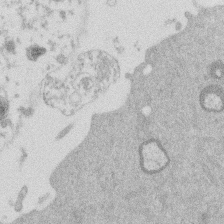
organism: Mouse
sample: Dividing mouse embryo 1 cell stage